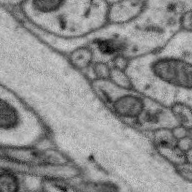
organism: Zebra finch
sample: Brain